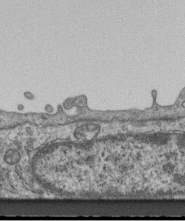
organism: Mouse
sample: Centriole in ependymal cells